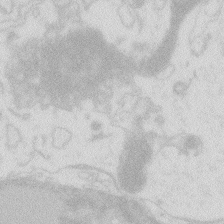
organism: Zebrafish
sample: Macrophage